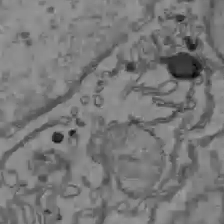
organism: C57BL Mouse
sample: Liver